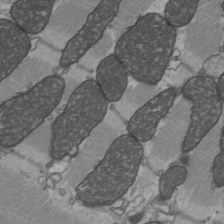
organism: C57BL Mouse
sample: Heart